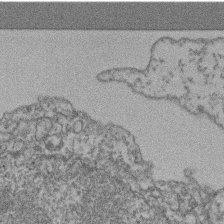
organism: Mouse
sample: T cell stromal cell synapse